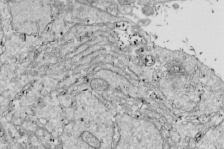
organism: Drosophila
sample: Cell division; meiosis; drosophila spermatocytes